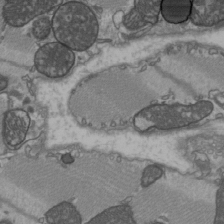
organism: C57BL Mouse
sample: Heart